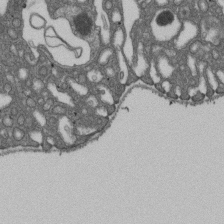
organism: Drosophila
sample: Nephrocyte